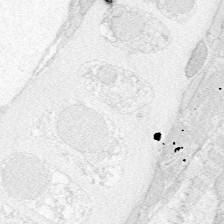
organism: Zebrafish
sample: Whole-Brain